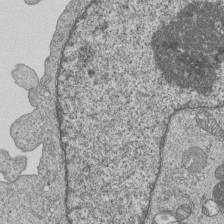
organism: Human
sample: MDA-MB-231 cells